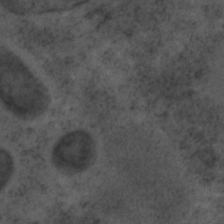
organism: C. elegans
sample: C. elegans embryo